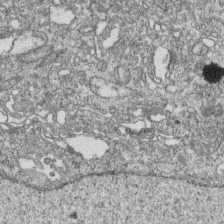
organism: Human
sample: HeLa cell HIV synapse